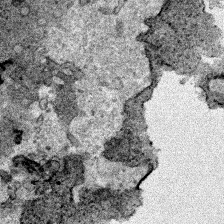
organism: Human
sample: Mitochondria in HCT116 cells